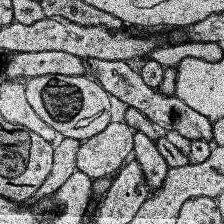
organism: Human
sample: Temporal Lobe